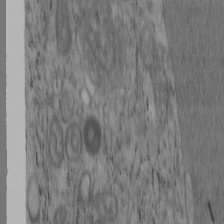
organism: Human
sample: HeLa cells